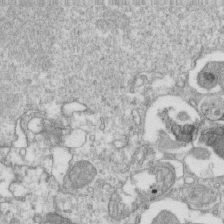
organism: Mouse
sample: Activated OT-1 CD8+ T cells